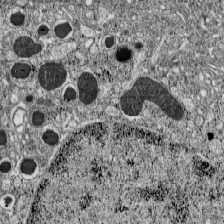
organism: C57BL Mouse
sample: Pancreatic islet